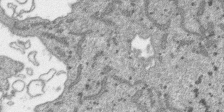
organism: Human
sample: Lung epithelial cells infected with SARS-CoV-2